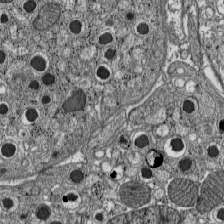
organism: C57BL Mouse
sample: Pancreatic islet